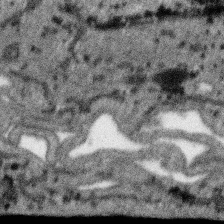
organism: Human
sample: Lung epithelial cells infected with SARS-CoV-2